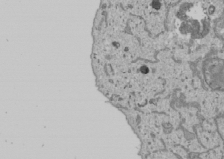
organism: Human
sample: Mitochondria in U2OS cells